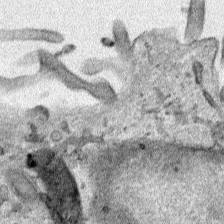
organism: Human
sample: Mitochondria in HCT116 cells